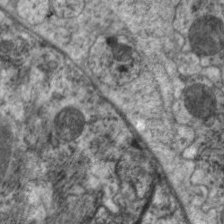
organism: C. elegans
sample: Pharynx